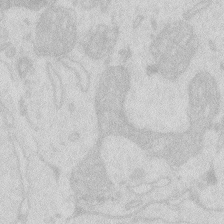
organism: Zebrafish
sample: Macrophage